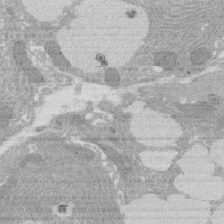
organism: Rat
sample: Salivary granule